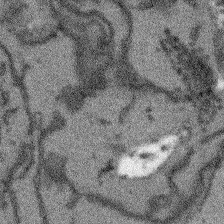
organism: Arabidopsis thaliana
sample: Root tip